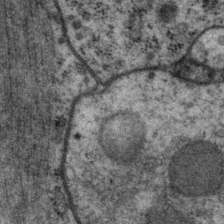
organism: P. pacificus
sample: Pharynx